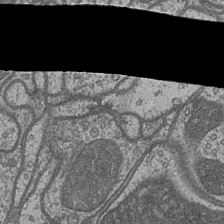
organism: Drosophila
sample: Optic medulla